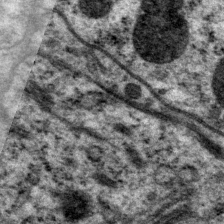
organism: P. pacificus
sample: Pharynx